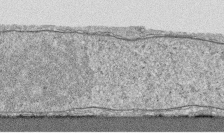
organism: Human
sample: CRL-1474